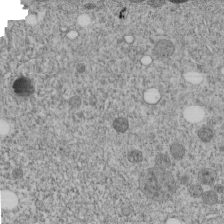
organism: C. elegans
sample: C. elegans embryo early stage